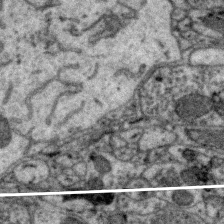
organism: Zebra finch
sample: Brain